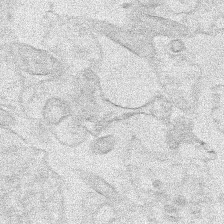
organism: Human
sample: Mitochondria in HCT116 cells